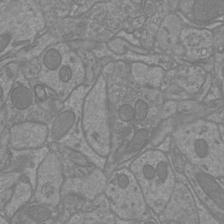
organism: Mouse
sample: Cortical neurons